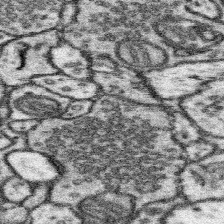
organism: Mouse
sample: Somatosensory cortex neuropil